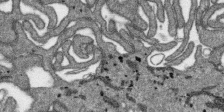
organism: Human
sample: Lung epithelial cells, uninfected (mock) control